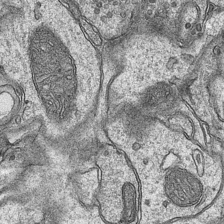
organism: Mouse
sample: CA1 Hippocampus